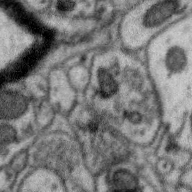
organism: Zebra finch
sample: Brain